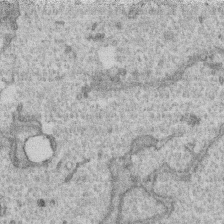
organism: Human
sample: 1205lu cells